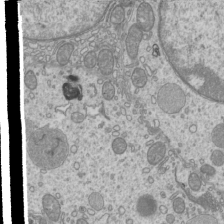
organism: Mouse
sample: Cilia; mouse epididymis